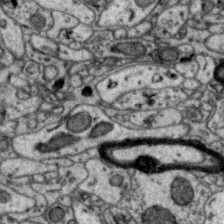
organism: Zebra finch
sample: Brain